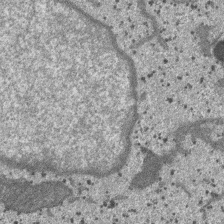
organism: Human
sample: Lung epithelial cells infected with SARS-CoV-2